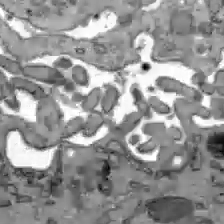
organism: C57BL Mouse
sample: Liver